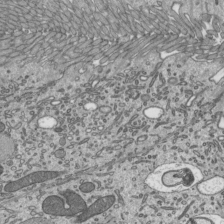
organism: Mouse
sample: Mouse epididymis efferent ductule cilia